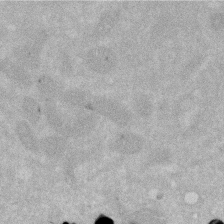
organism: Human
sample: HIV infected U937 cells